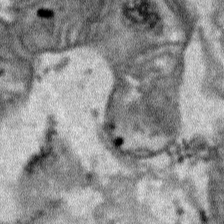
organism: Human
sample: Mitochondria in HCT116 cells